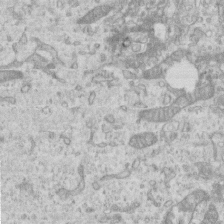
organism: Mouse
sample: Centriole in ependymal cells